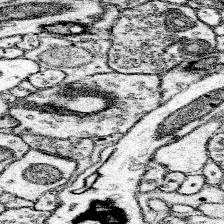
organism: Mouse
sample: Somatosensory cortex neuropil